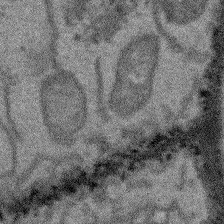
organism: Arabidopsis thaliana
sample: Root tip